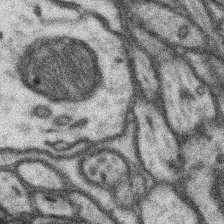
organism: Mouse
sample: Somatosensory cortex neuropil